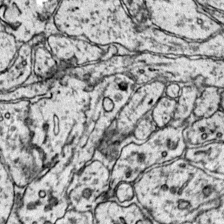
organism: Mouse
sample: Primary visual cortex